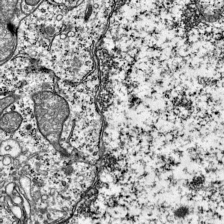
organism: Mouse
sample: Visual Cortex